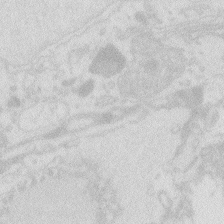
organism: Zebrafish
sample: Macrophage